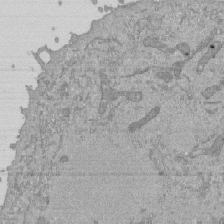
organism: Mouse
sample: ED-1 cell nuclei; centrioles